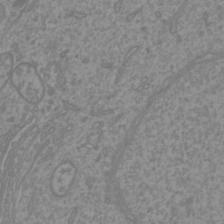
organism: Mouse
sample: Cortical neurons